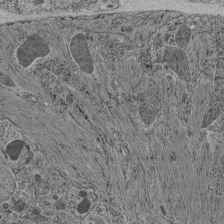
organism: C. elegans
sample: C. elegans pharynx